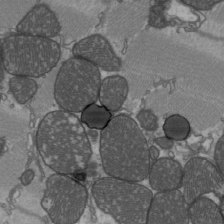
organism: C57BL Mouse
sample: Heart